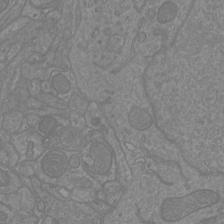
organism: Mouse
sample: Cortical neurons